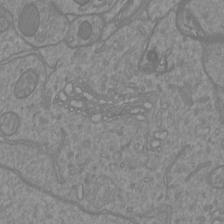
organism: Mouse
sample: Cortical neurons